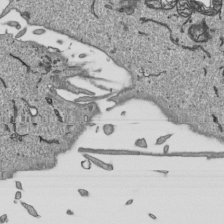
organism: Human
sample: Mitochondria in HCT116 cells